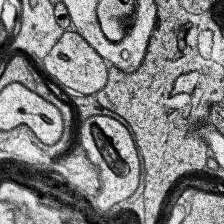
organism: Human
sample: Temporal Lobe